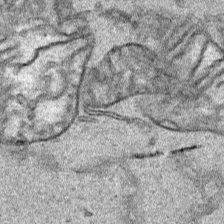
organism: Human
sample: Mitochondria in HCT116 cells